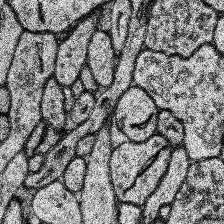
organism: Human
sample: Temporal Lobe